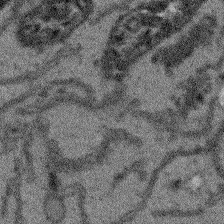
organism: Arabidopsis thaliana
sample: Root tip